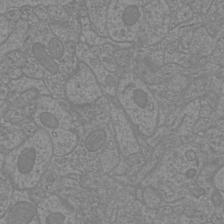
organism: Mouse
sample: Cortical neurons